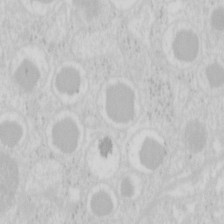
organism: Mouse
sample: Pancreas